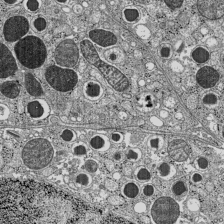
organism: C57BL Mouse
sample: Pancreatic islet